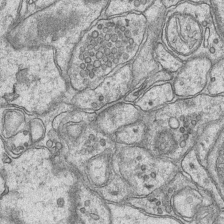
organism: Mouse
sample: CA1 Hippocampus